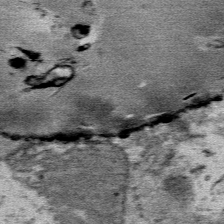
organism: Mouse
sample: Mouse Salivary gland